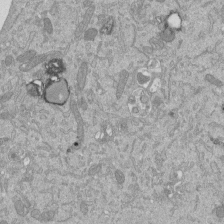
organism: Mouse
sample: ED-1 cell nuclei; centrioles